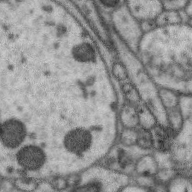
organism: Zebra finch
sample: Brain